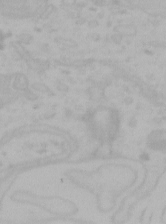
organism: Mouse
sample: Choroid plexus